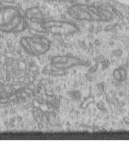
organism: Human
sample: Centriole in RPE cells